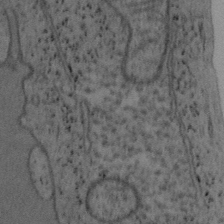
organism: Human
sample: HeLa cells